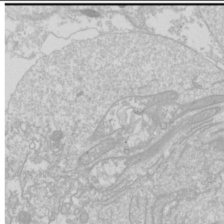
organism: Drosophila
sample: Cell division; meiosis; drosophila spermatocytes